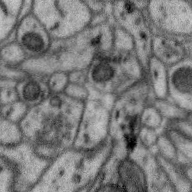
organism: Zebra finch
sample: Brain